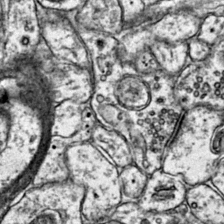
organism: Mouse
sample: Primary visual cortex